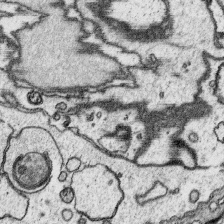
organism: Platynereis dumerilii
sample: Parapodia